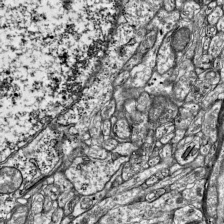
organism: Mouse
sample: Visual Cortex